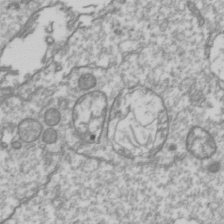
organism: Drosophila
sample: Cell division; meiosis; drosophila spermatocytes